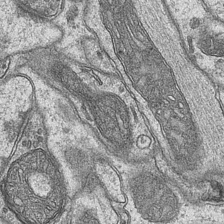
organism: Mouse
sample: CA1 Hippocampus